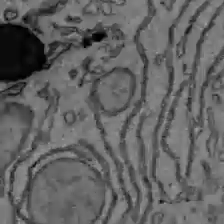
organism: C57BL Mouse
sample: Liver